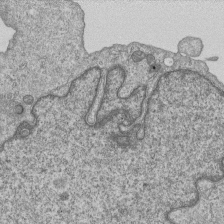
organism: Human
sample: MDA-MB-231 cells